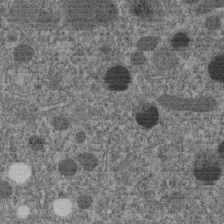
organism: C. elegans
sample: C. elegans embryo early stage